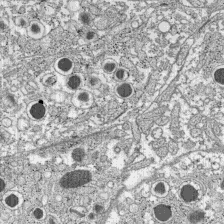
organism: C57BL Mouse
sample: Pancreatic islet